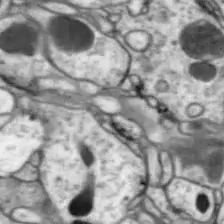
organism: Drosophila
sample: Optic lobe